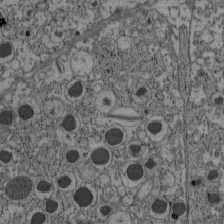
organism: C57BL Mouse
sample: Pancreatic islet